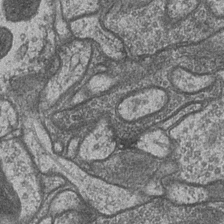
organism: Drosophila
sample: Optic medulla